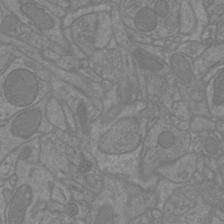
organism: Mouse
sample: Cortical neurons